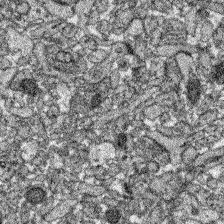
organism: Zebrafish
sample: Larval olfactory bulb